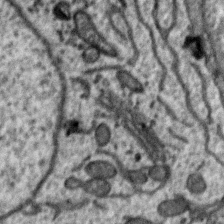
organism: Zebra finch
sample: Brain